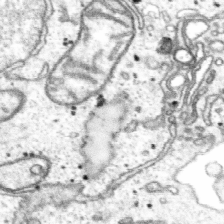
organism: Human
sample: HeLa cells